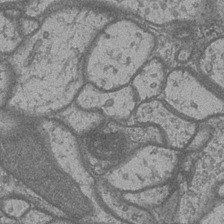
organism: Drosophila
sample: Optic medulla